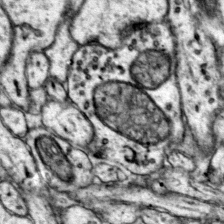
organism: Mouse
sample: Primary visual cortex